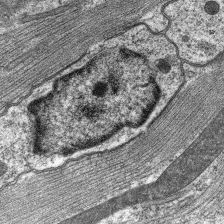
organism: C. elegans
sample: Pharynx